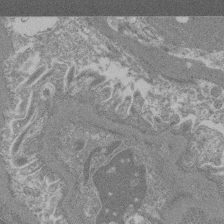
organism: Mouse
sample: Glomerulus